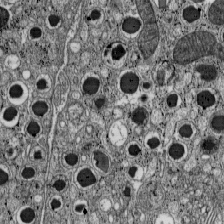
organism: C57BL Mouse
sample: Pancreatic islet